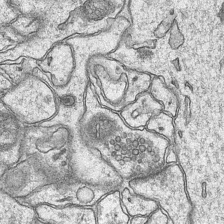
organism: Mouse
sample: CA1 Hippocampus